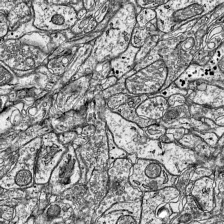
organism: Mouse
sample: Visual Cortex